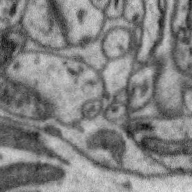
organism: Zebra finch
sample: Brain